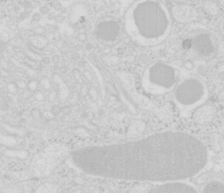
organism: Mouse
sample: Pancreas